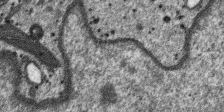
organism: Human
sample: Lung epithelial cells infected with SARS-CoV-2